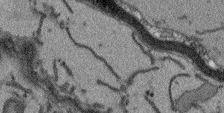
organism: Arabidopsis thaliana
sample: Root tip